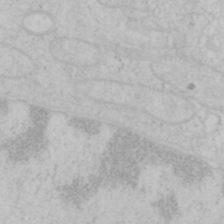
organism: Mouse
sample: OT-I killer T cells with ID8 ovarian cancer cells